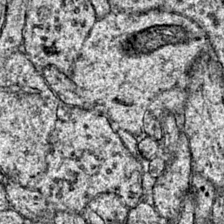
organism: Mouse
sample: Primary visual cortex